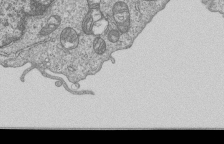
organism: Human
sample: MDA-MB-231 cells